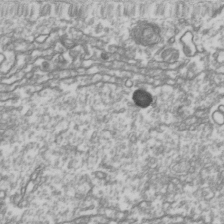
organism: Drosophila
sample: Cell division; meiosis; drosophila spermatocytes